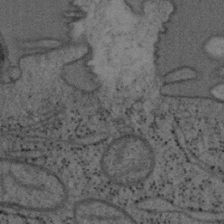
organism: Human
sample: HeLa cells